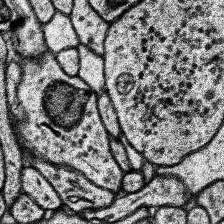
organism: Human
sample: Temporal Lobe